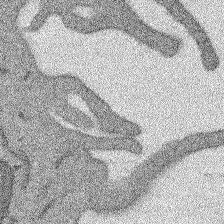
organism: Human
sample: HeLa cells